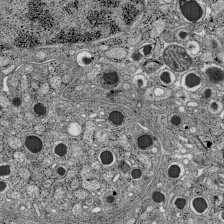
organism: C57BL Mouse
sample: Pancreatic islet